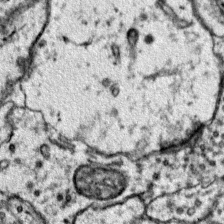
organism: Mouse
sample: Primary visual cortex